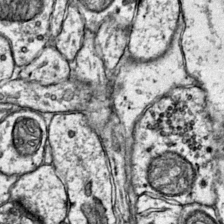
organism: Mouse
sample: Primary visual cortex